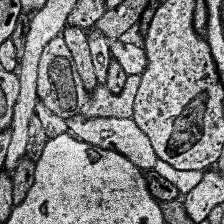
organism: Human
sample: Temporal Lobe